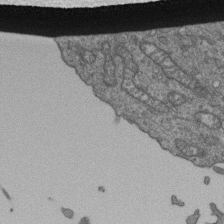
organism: Human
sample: Retinal organoid Rod and Cone cells